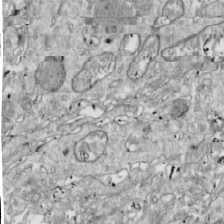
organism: Drosophila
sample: Cell division; meiosis; drosophila spermatocytes